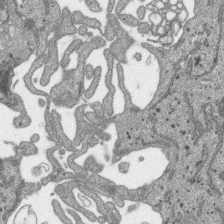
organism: Human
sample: Lung epithelial cells infected with SARS-CoV-2